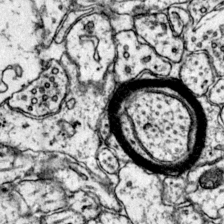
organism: Mouse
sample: Primary visual cortex